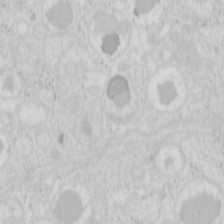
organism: Mouse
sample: Pancreas